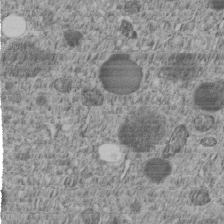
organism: C. elegans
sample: C. elegans embryo early stage